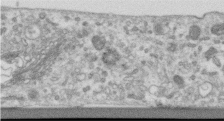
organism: Human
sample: Centriole in RPE cells